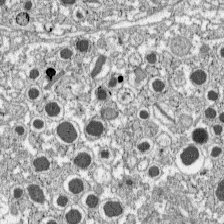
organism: C57BL Mouse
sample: Pancreatic islet